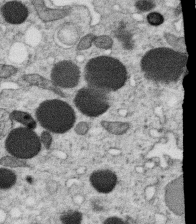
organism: C. elegans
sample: C. elegans oocyte; sperm cells